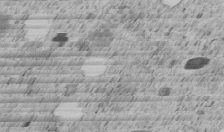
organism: C. elegans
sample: C. elegans embryo early stage